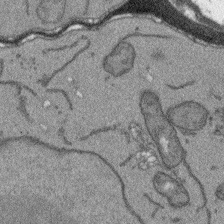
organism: Arabidopsis thaliana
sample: Root tip